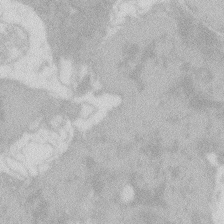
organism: Zebrafish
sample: Macrophage